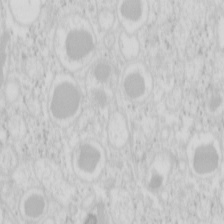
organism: Mouse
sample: Pancreas